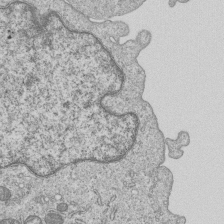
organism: Human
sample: MDA-MB-231 cells